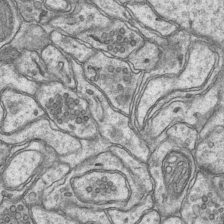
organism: Mouse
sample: CA1 Hippocampus